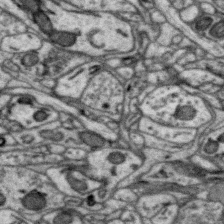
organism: Zebra finch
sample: Brain